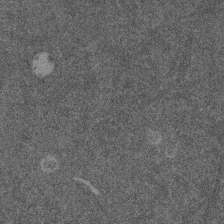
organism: Mouse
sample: Dividing mouse embryo 1 cell stage